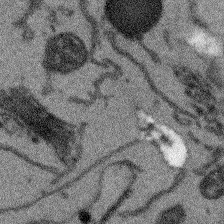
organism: Arabidopsis thaliana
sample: Root tip